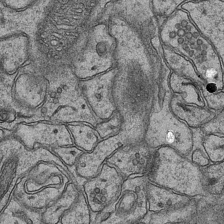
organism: Mouse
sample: CA1 Hippocampus